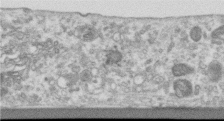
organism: Human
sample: Centriole in RPE cells